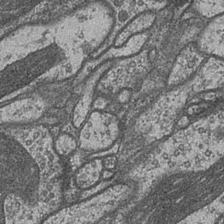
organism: Drosophila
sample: Optic medulla